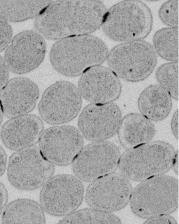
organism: E. coli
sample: Bacterial nucleoid